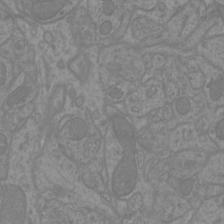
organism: Mouse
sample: Cortical neurons